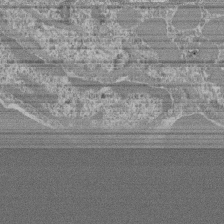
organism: Mouse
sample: Glomerulus